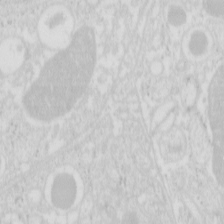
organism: Mouse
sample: Pancreas